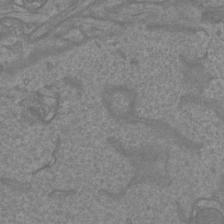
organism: Mouse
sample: Cortical neurons